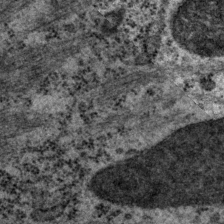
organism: P. pacificus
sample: Pharynx